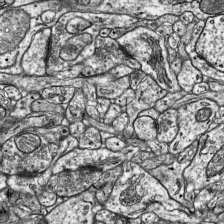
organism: Mouse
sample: Visual Cortex